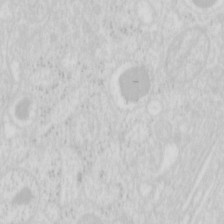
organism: Mouse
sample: Pancreas